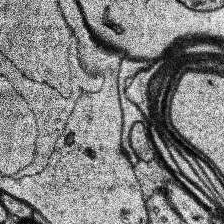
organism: Human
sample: Temporal Lobe